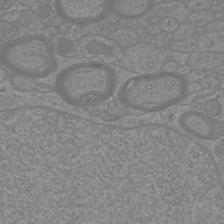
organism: Mouse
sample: Cortical neurons